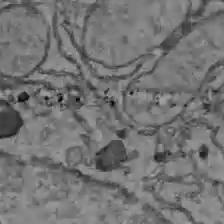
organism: C57BL Mouse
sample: Liver